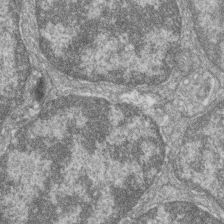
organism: Zebrafish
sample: Cilia; retinal pigment epithelium